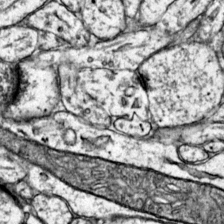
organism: Mouse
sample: Primary visual cortex